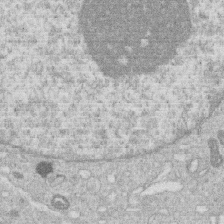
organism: Human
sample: Macrophage cells